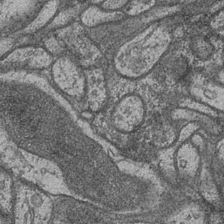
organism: Drosophila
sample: Optic medulla